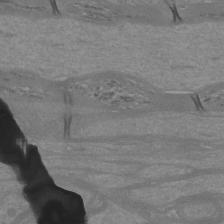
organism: Mouse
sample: Cortical neurons